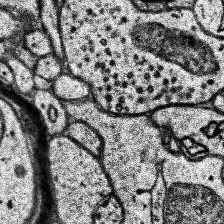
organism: Human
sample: Temporal Lobe